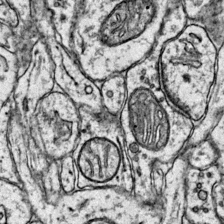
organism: Mouse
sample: Primary visual cortex